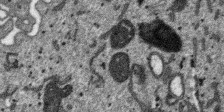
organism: Human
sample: Lung epithelial cells infected with SARS-CoV-2